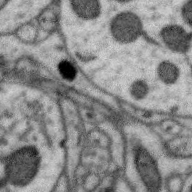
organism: Zebra finch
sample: Brain